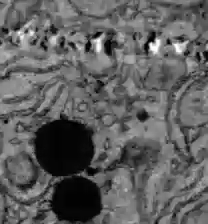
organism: C57BL Mouse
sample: Liver